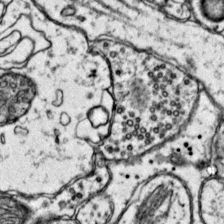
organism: Mouse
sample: Primary visual cortex